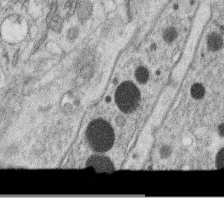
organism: C. elegans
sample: C. elegans oocyte; sperm cells